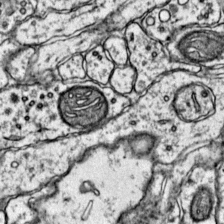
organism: Mouse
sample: Primary visual cortex